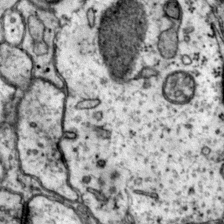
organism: Mouse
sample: Primary visual cortex